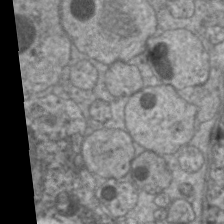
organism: C. elegans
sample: Pharynx